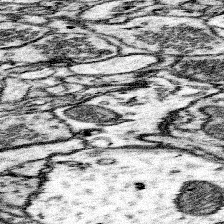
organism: Mouse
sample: Somatosensory cortex neuropil